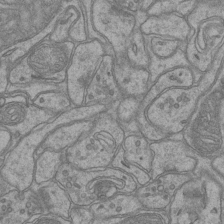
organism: Mouse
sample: CA1 Hippocampus